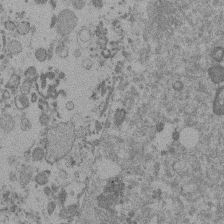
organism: Mouse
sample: Dividing mouse embryo 1 cell stage